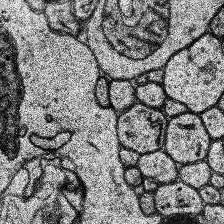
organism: Human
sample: Temporal Lobe